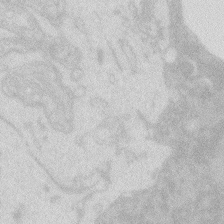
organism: Zebrafish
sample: Macrophage